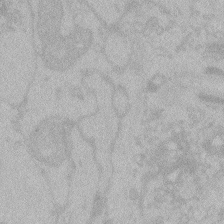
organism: Zebrafish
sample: Macrophage infected with Toxoplasma gondii